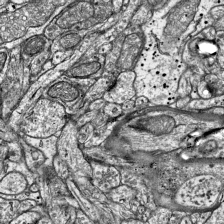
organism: Mouse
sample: Visual Cortex